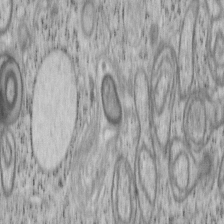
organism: Human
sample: HeLa cells